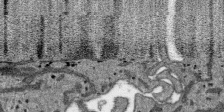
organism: Human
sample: Lung epithelial cells, uninfected (mock) control